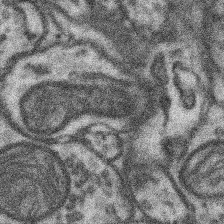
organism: Mouse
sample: Somatosensory cortex neuropil